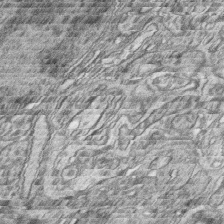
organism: Zebrafish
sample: synaptic ribbons in rod cells and cone cells